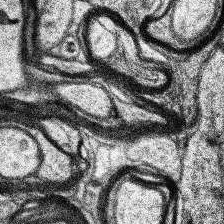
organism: Human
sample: Temporal Lobe